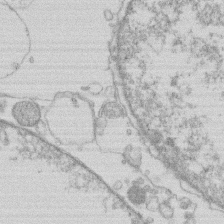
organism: Human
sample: Macrophage cells